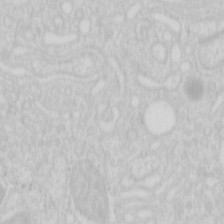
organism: Mouse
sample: Pancreas